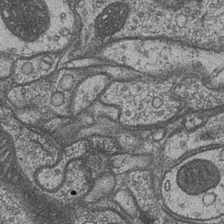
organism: Drosophila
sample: Optic medulla